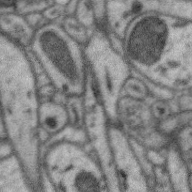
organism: Zebra finch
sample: Brain